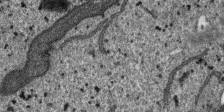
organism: Human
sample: Lung epithelial cells infected with SARS-CoV-2